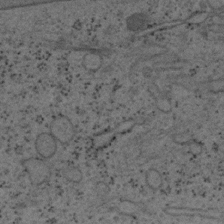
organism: Human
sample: HeLa cells